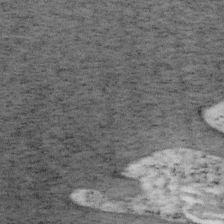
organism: Mouse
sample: OT-I killer T cells with ID8 ovarian cancer cells